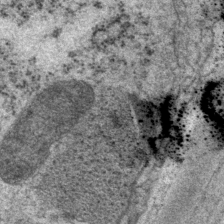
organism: P. pacificus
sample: Pharynx